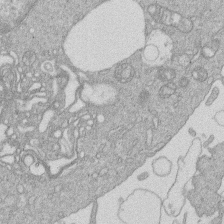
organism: Human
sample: Macrophage cells